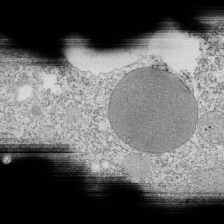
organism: Tetrahymena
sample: Cilia in tetrahymena